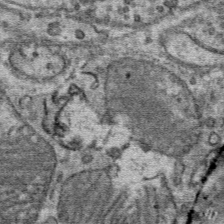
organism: Mouse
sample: Mouse Salivary gland